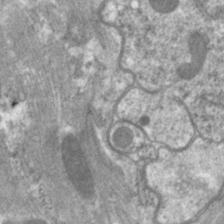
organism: C. elegans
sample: Pharynx